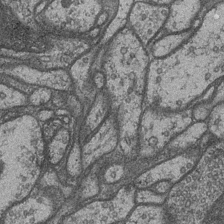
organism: Drosophila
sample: Optic medulla